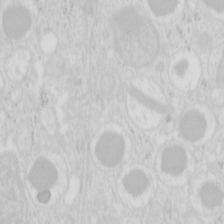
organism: Mouse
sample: Pancreas